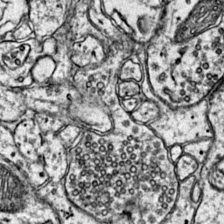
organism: Mouse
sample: Primary visual cortex